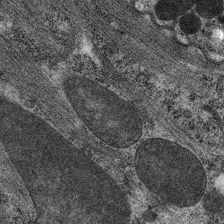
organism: C. elegans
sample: Pharynx